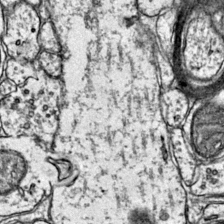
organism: Mouse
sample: Primary visual cortex